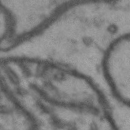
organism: Drosophila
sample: Brain